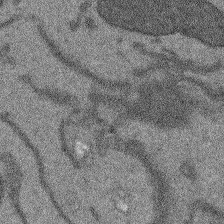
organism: Arabidopsis thaliana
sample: Root tip